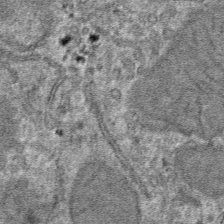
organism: Mouse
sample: Mouse hepatocytes